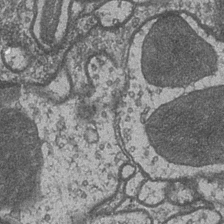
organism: Drosophila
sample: Optic medulla